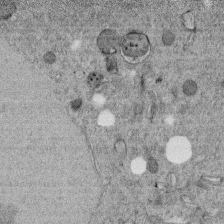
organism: C. elegans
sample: C. elegans embryo early stage